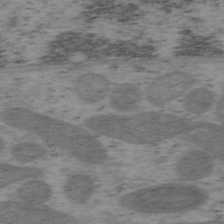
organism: Mouse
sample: OT-I killer T cells with ID8 ovarian cancer cells